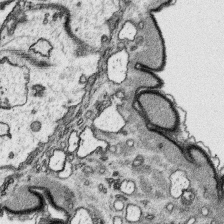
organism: Platynereis dumerilii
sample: Parapodia